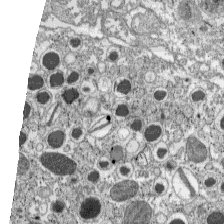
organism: C57BL Mouse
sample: Pancreatic islet